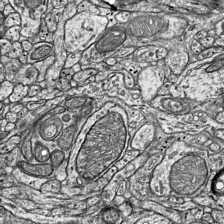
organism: Mouse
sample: Visual Cortex